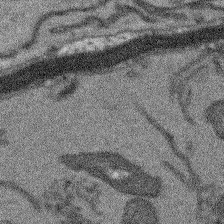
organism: Arabidopsis thaliana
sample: Root tip